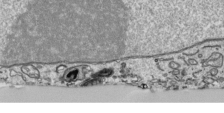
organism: Human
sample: Mitochondria in HCT116 cells